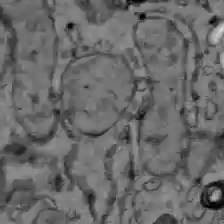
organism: C57BL Mouse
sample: Liver